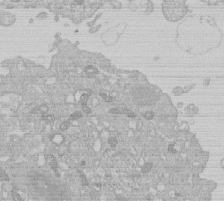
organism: Human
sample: Macrophage cells